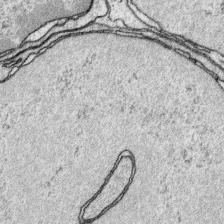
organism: Platynereis dumerilii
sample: Parapodia